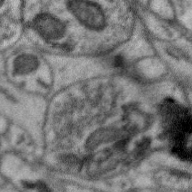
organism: Zebra finch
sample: Brain